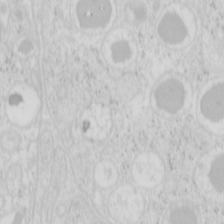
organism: Mouse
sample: Pancreas